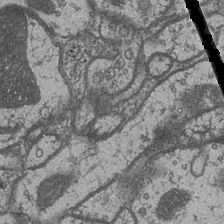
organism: Drosophila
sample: Optic medulla